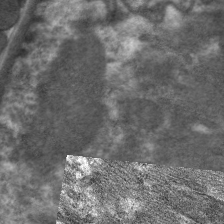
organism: C. elegans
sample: Pharynx